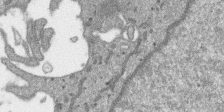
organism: Human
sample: Lung epithelial cells infected with SARS-CoV-2